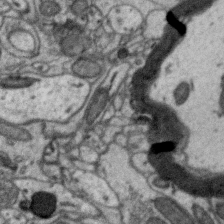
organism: Zebra finch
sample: Brain